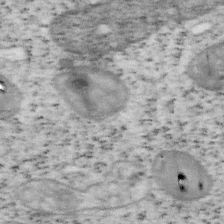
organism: Mouse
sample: OT-I killer T cells with ID8 ovarian cancer cells